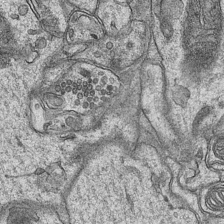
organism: Mouse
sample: CA1 Hippocampus